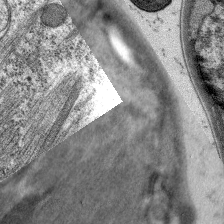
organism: C. elegans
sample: Pharynx